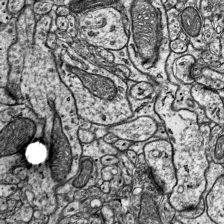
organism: Mouse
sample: Visual Cortex